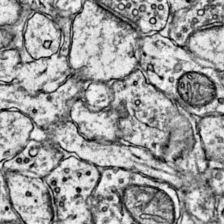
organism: Mouse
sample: Primary visual cortex